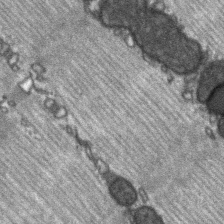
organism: C57BL Mouse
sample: Soleus